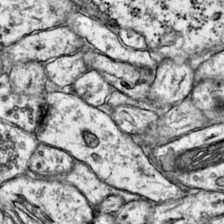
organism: Mouse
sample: Primary visual cortex